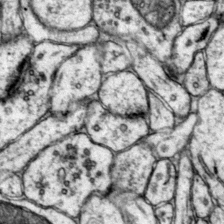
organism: Mouse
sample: Primary visual cortex